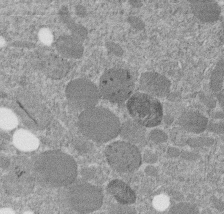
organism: C. elegans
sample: C. elegans embryo early stage